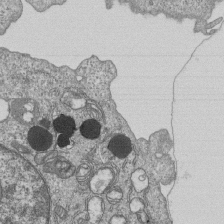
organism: Human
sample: MDA-MB-231 cells